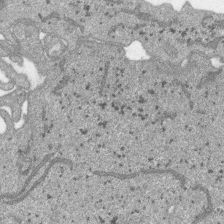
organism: Human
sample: Lung epithelial cells infected with SARS-CoV-2